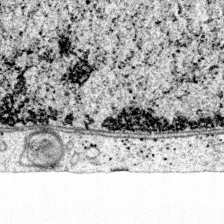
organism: Human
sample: HeLa cells